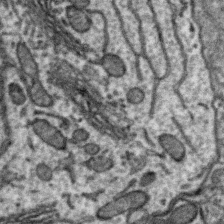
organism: Zebra finch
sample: Brain